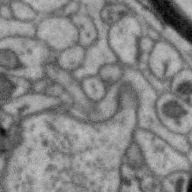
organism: Zebra finch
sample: Brain